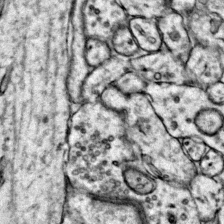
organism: Mouse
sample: Primary visual cortex